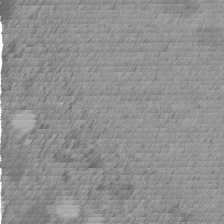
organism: C. elegans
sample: C. elegans embryo early stage